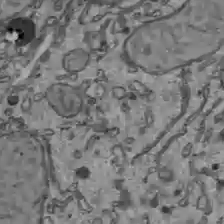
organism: C57BL Mouse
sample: Liver